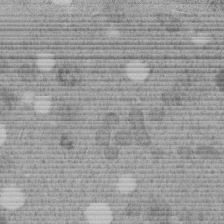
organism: C. elegans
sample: C. elegans embryo early stage